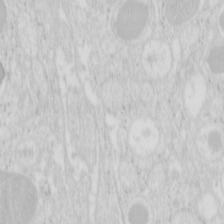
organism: Mouse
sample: Pancreas